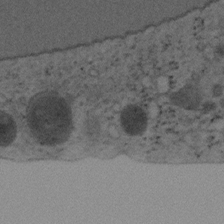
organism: Human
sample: HeLa cells